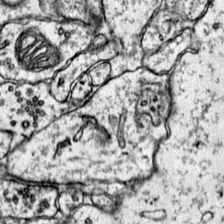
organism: Mouse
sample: Primary visual cortex